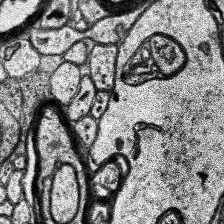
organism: Human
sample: Temporal Lobe